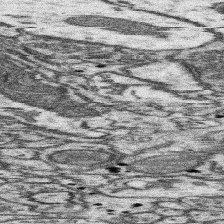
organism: Mouse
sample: Somatosensory cortex neuropil